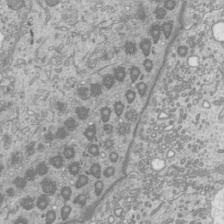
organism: Mouse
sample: Cilia; mouse epididymis